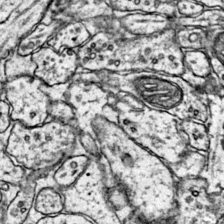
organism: Mouse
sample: Primary visual cortex